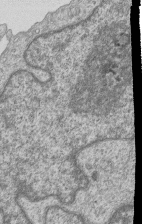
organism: Human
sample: MDA-MB-231 cells